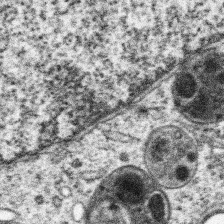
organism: Human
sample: HeLa cells